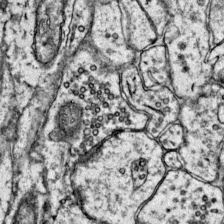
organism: Mouse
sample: Primary visual cortex